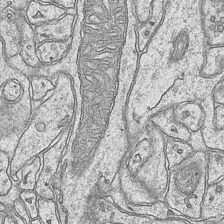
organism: Mouse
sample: CA1 Hippocampus